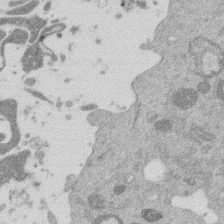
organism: Mouse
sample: Dividing mouse embryo 1 cell stage